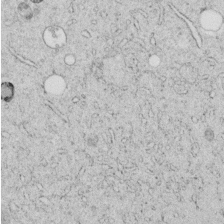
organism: C. elegans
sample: C. elegans embryo early stage